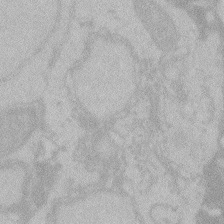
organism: Zebrafish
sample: Macrophage infected with Toxoplasma gondii